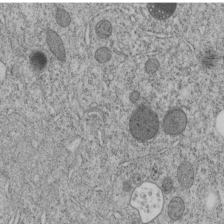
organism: C. elegans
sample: C. elegans embryo early stage